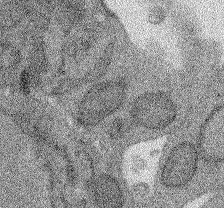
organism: Human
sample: HeLa cells